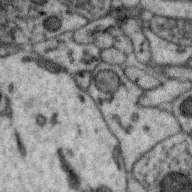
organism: Zebra finch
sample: Brain